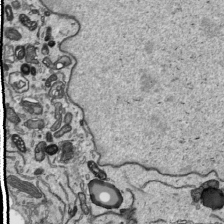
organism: Human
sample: Mitochondria in HCT116 cells